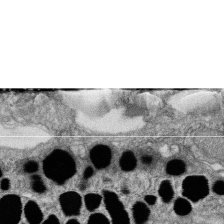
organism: Zebrafish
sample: Cilia; retinal pigment epithelium